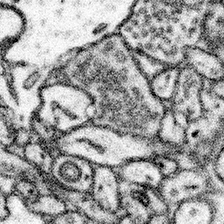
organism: Mouse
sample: Somatosensory cortex neuropil